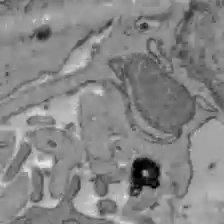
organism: C57BL Mouse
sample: Liver